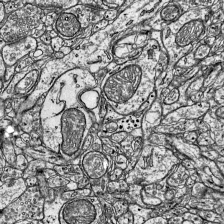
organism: Mouse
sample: Visual Cortex